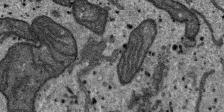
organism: Human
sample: Lung epithelial cells, uninfected (mock) control